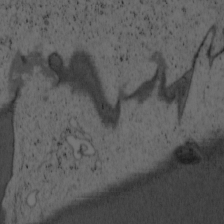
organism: African green monkey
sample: COS-7 cells